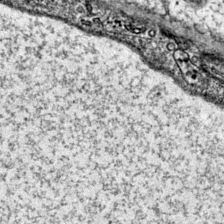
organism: Mouse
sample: Primary visual cortex